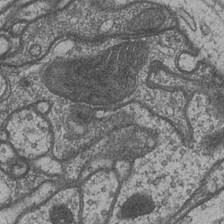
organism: Drosophila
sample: Optic medulla